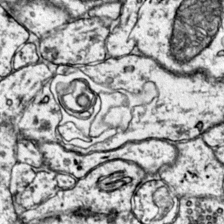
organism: Mouse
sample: Primary visual cortex